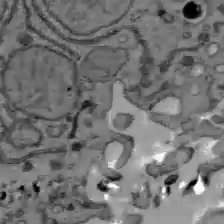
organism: C57BL Mouse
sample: Liver